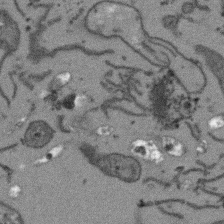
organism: Arabidopsis thaliana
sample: Root tip